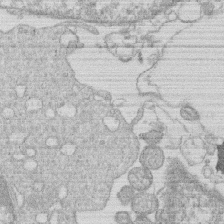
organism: Human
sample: Macrophage cells